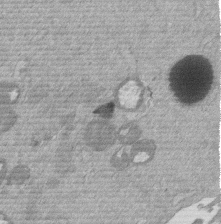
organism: Mouse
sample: Dividing mouse embryo 1 cell stage